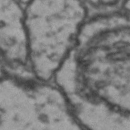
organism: Drosophila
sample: Brain